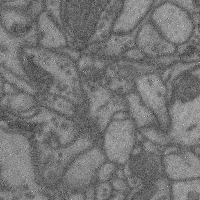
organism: Mouse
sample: Cerebral cortex